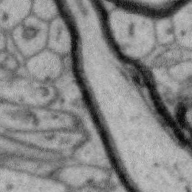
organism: Zebra finch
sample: Brain